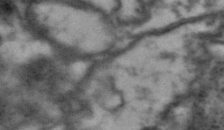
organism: Drosophila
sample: Brain